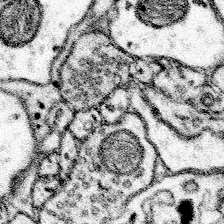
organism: Mouse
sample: Somatosensory cortex neuropil